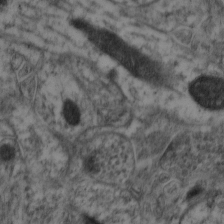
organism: Mouse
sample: Neocortex